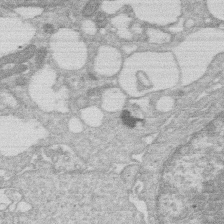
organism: Human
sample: Macrophage cells